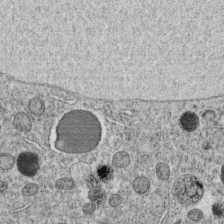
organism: C. elegans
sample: C. elegans oocyte; sperm cells